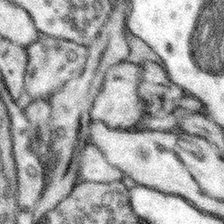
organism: Mouse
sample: Somatosensory cortex neuropil